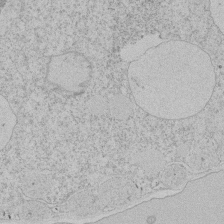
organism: Tetrahymena